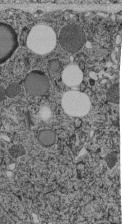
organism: C. elegans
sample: C. elegans pharynx